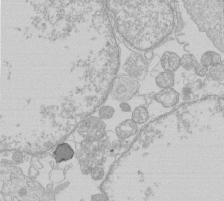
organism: Human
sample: Macrophage cells